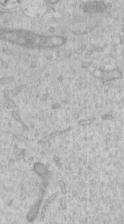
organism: Human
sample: Centriole in RPE cells